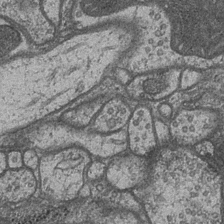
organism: Drosophila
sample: Optic medulla